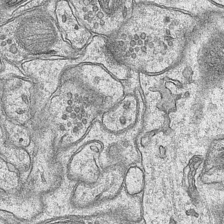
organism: Mouse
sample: CA1 Hippocampus